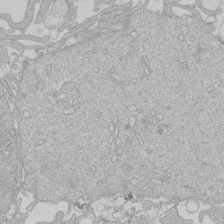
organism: Human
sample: Macrophage cells